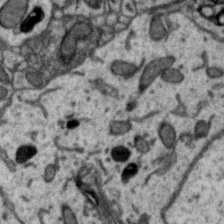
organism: Zebra finch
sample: Brain